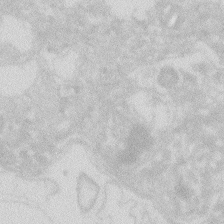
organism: Zebrafish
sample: Macrophage